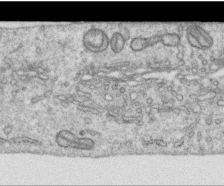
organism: Human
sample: Centriole in RPE cells